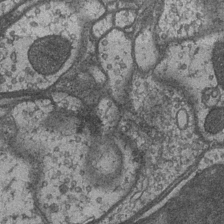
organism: Drosophila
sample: Optic medulla